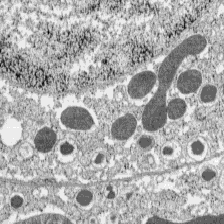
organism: C57BL Mouse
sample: Pancreatic islet